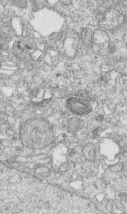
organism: Human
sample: HeLa cell HIV synapse